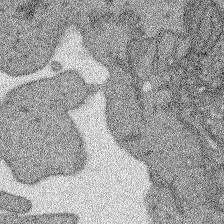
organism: Human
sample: HeLa cells